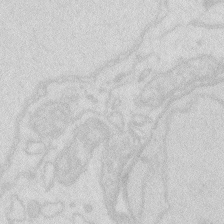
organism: Zebrafish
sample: Macrophage